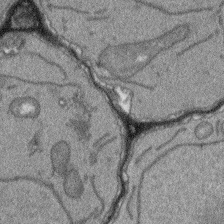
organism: Arabidopsis thaliana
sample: Root tip